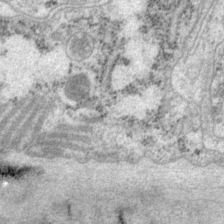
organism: P. pacificus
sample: Pharynx